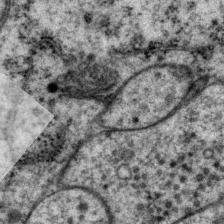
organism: P. pacificus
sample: Pharynx